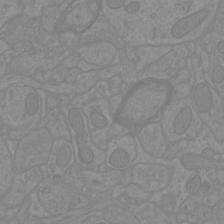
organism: Mouse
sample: Cortical neurons